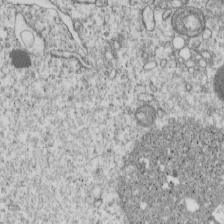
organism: Human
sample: MDA-MB-231 cells